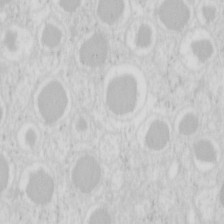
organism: Mouse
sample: Pancreas